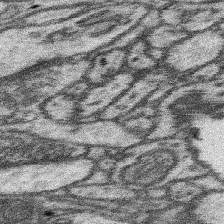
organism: Mouse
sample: Somatosensory cortex neuropil